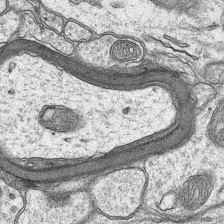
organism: Mouse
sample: CA1 Hippocampus